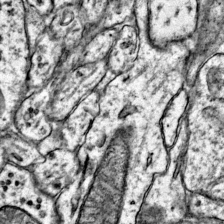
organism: Mouse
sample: Primary visual cortex